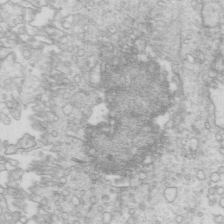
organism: Mouse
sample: Multiciliated cells